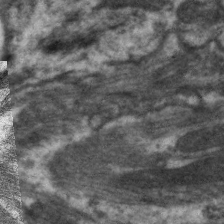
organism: C. elegans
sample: Pharynx